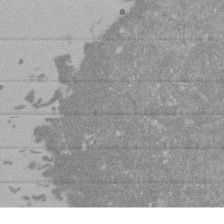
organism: Mouse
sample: ED-1 cell nuclei; centrioles